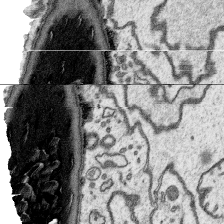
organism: Platynereis dumerilii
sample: Parapodia